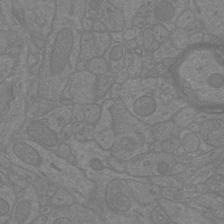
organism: Mouse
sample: Cortical neurons